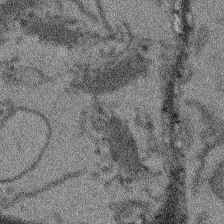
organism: Arabidopsis thaliana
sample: Root tip